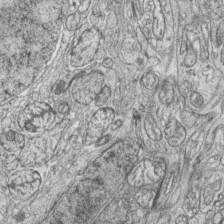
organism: Zebrafish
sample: synaptic ribbons in rod cells and cone cells